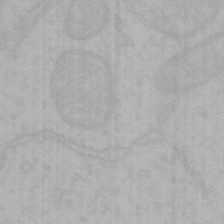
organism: Mouse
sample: Choroid plexus